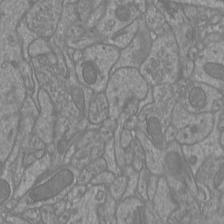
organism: Mouse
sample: Cortical neurons